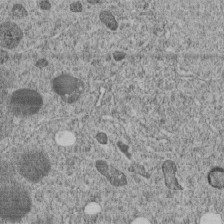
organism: C. elegans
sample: C. elegans embryo early stage